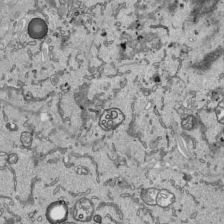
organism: Human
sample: Mitochondria in HCT116 cells